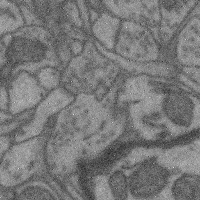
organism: Mouse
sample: Cerebral cortex